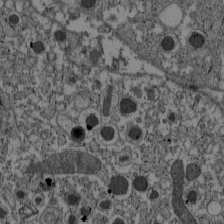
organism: C57BL Mouse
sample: Pancreatic islet